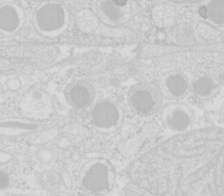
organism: Mouse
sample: Pancreas